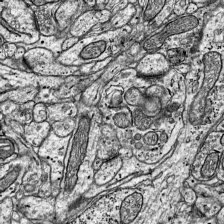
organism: Mouse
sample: Visual Cortex